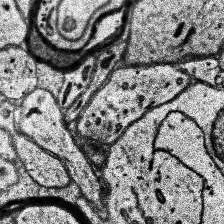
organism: Human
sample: Temporal Lobe